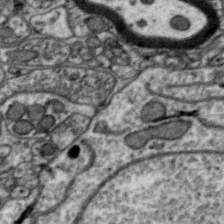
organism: Zebra finch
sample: Brain